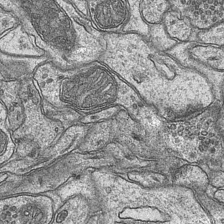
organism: Mouse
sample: CA1 Hippocampus